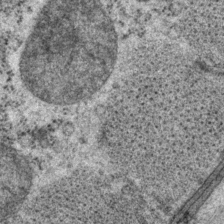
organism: P. pacificus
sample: Pharynx